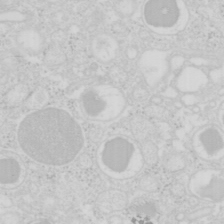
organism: Mouse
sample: Pancreas